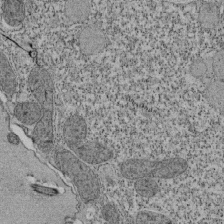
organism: Tetrahymena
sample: Cilia in tetrahymena